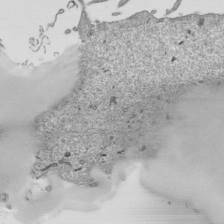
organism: Human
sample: Mitochondria in HCT116 cells